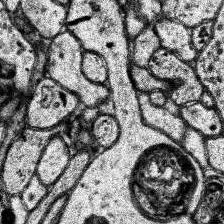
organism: Human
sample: Temporal Lobe